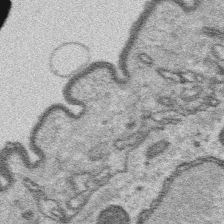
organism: Platynereis dumerilii